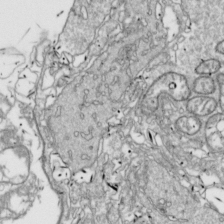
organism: Drosophila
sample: Cell division; meiosis; drosophila spermatocytes